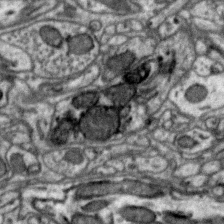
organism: Zebra finch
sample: Brain